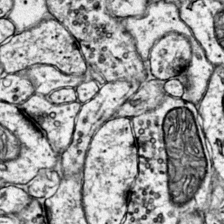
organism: Mouse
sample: Primary visual cortex